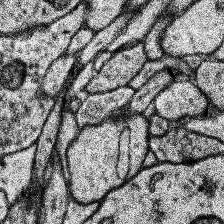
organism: Human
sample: Temporal Lobe